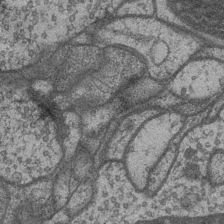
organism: Drosophila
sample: Optic medulla